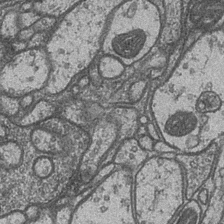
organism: Drosophila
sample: Optic medulla